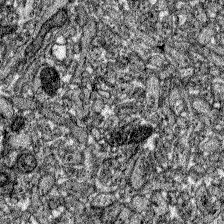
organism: Zebrafish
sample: Larval olfactory bulb